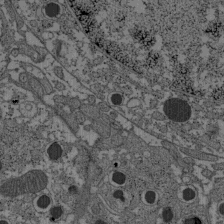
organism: C57BL Mouse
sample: Pancreatic islet